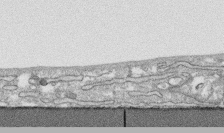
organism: Human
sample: CRL-1474